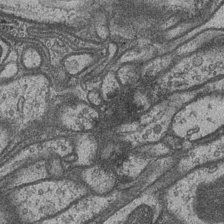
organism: Drosophila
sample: Optic medulla